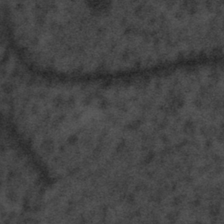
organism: Tuwongella immobilis